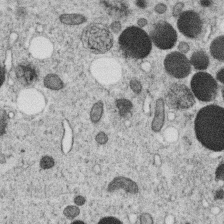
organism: C. elegans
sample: C. elegans oocyte; sperm cells